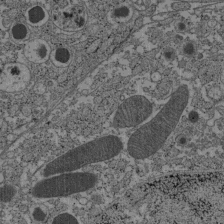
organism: C57BL Mouse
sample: Pancreatic islet